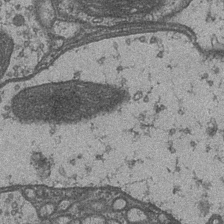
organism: Drosophila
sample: Optic medulla